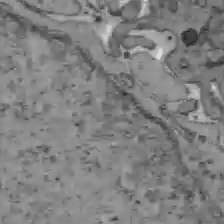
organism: C57BL Mouse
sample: Liver